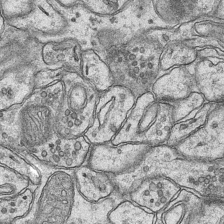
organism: Mouse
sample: CA1 Hippocampus